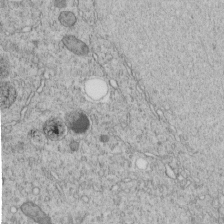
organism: C. elegans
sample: C. elegans embryo early stage